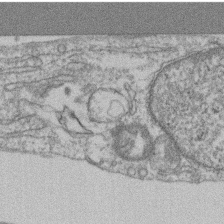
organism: Mouse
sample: T cell stromal cell synapse